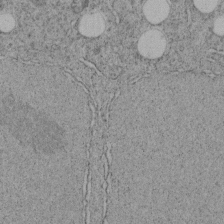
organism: C. elegans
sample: C. elegans embryo early stage